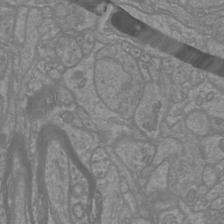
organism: Mouse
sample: Cortical neurons